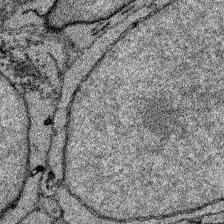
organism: Zebrafish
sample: Larval olfactory bulb